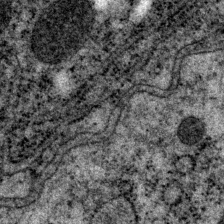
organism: P. pacificus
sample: Pharynx